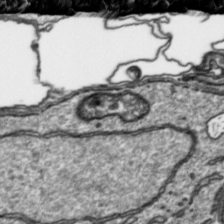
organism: Toxoplasma gondii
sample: Parasites in a vacuole inside a host cell